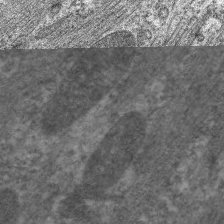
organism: C. elegans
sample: Pharynx